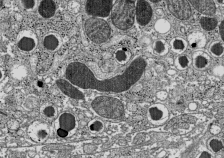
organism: C57BL Mouse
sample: Pancreatic islet